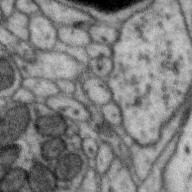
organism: Zebra finch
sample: Brain